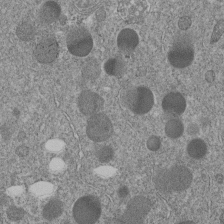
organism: C. elegans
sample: C. elegans embryo early stage